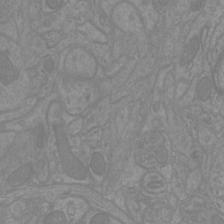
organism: Mouse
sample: Cortical neurons